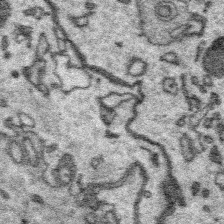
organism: Platynereis dumerilii